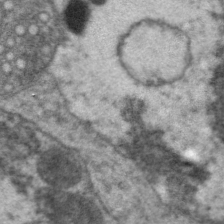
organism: C. elegans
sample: Pharynx